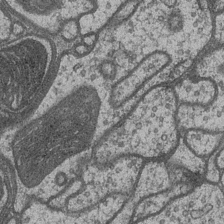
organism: Drosophila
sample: Optic medulla